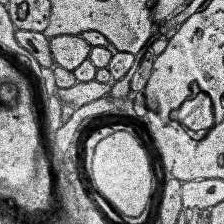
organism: Human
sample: Temporal Lobe